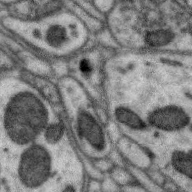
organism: Zebra finch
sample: Brain